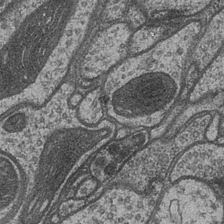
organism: Drosophila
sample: Optic medulla